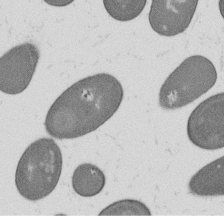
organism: B. subtilis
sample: Bacterial spore